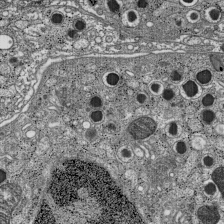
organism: C57BL Mouse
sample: Pancreatic islet